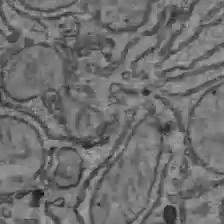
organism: C57BL Mouse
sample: Liver